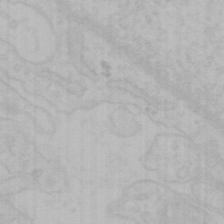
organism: Mouse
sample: Choroid plexus